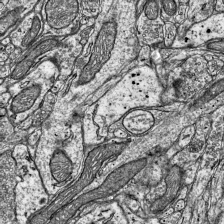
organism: Mouse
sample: Visual Cortex